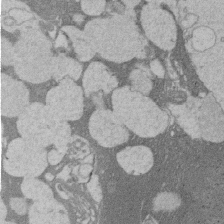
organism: Rat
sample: Salivary granule